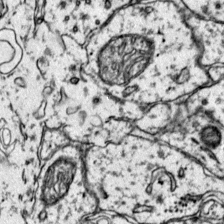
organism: Mouse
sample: Primary visual cortex